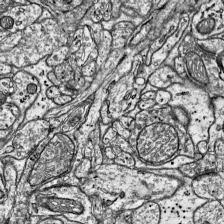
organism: Mouse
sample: Visual Cortex